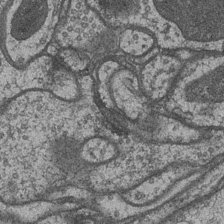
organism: Drosophila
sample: Optic medulla